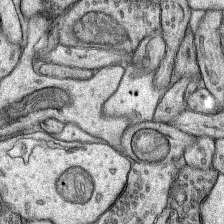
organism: Rat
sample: Hippocampus